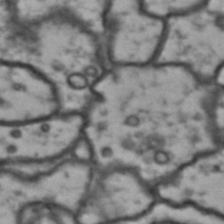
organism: Drosophila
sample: Brain